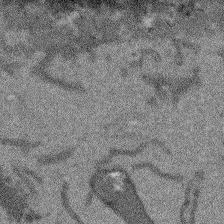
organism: Arabidopsis thaliana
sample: Root tip